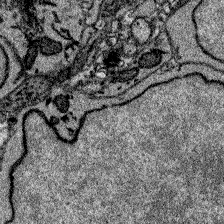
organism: Zebrafish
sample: Larval olfactory bulb